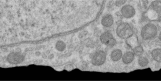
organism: Human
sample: Centriole in RPE cells